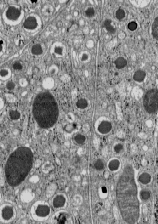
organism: C57BL Mouse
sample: Pancreatic islet